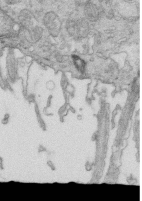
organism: Mouse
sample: Multiciliated cells